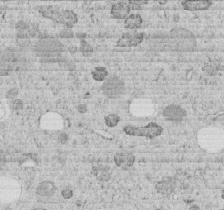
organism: C. elegans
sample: C. elegans embryo early stage